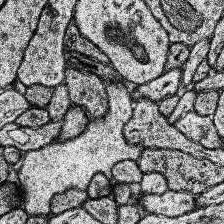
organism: Human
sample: Temporal Lobe